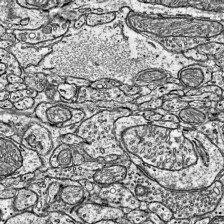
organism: Mouse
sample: Visual Cortex